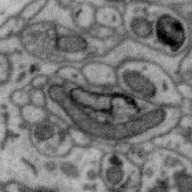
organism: Zebra finch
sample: Brain